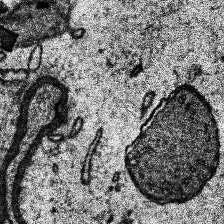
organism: Human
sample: Temporal Lobe